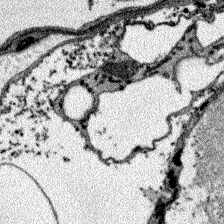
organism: Zebrafish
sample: Larval olfactory bulb